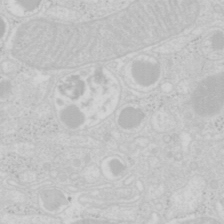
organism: Mouse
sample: Pancreas